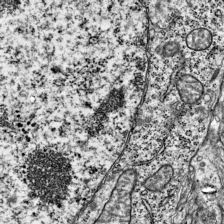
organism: Mouse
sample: Visual Cortex